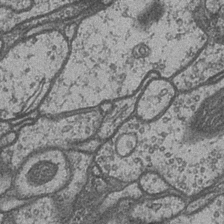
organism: Drosophila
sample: Optic medulla